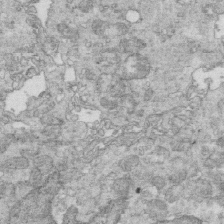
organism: Mouse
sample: Multiciliated cells